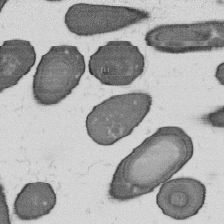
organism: B. subtilis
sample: Bacterial spore